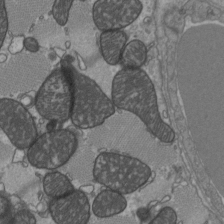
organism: C57BL Mouse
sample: Heart